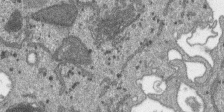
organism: Human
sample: Lung epithelial cells infected with SARS-CoV-2